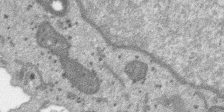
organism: Human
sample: Lung epithelial cells infected with SARS-CoV-2